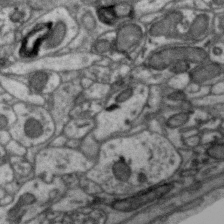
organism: Zebra finch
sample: Brain